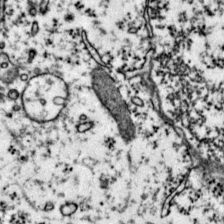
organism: Mouse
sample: Primary visual cortex